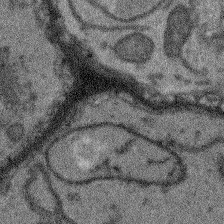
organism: Arabidopsis thaliana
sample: Root tip